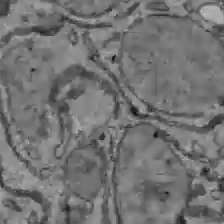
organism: C57BL Mouse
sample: Liver